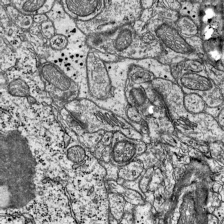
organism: Mouse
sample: Visual Cortex